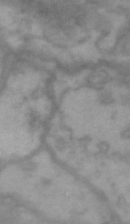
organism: Drosophila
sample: Brain